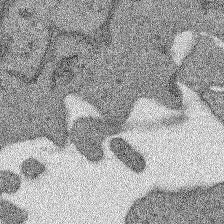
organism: Human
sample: HeLa cells